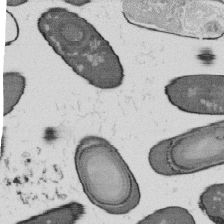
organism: B. subtilis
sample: Bacterial spore